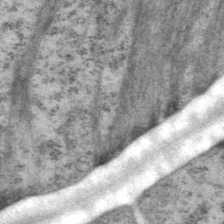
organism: P. pacificus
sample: Pharynx